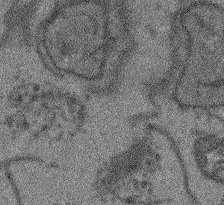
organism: Arabidopsis thaliana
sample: Root tip